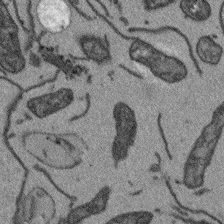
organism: Arabidopsis thaliana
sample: Root tip